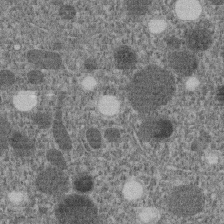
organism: C. elegans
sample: C. elegans embryo early stage